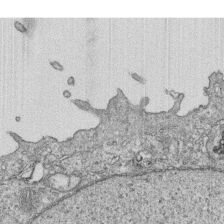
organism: Human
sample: HeLa cell HIV synapse